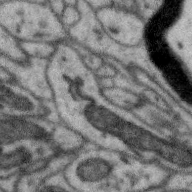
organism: Zebra finch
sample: Brain